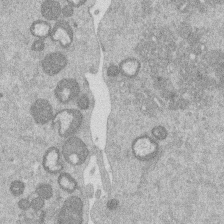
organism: Mouse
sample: Dividing mouse embryo 1 cell stage